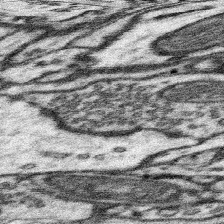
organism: Mouse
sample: Somatosensory cortex neuropil